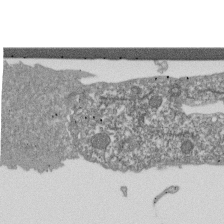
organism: Dictyostelium discoideum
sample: Dictyostelium multivesicular bodies